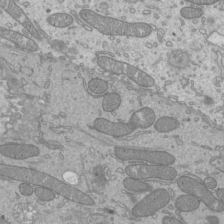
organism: Mouse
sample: Cilia; mouse epididymis